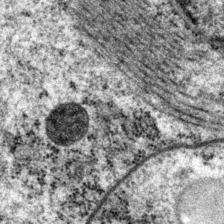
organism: P. pacificus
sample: Pharynx